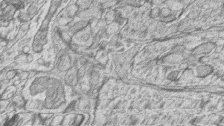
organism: Zebrafish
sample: synaptic ribbons in rod cells and cone cells